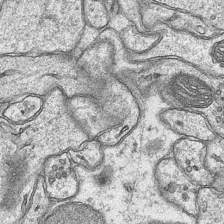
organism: Mouse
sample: CA1 Hippocampus